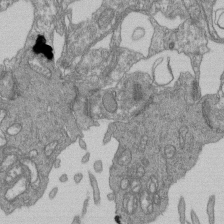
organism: Human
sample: Retinal organoid Rod and Cone cells